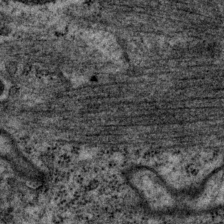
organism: P. pacificus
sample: Pharynx